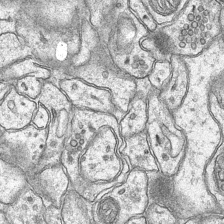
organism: Mouse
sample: CA1 Hippocampus